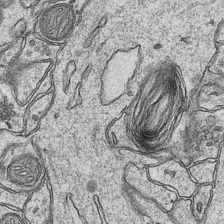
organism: Mouse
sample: CA1 Hippocampus